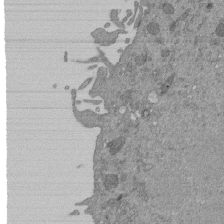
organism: Mouse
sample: ED-1 cell nuclei; centrioles